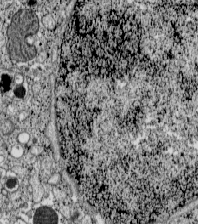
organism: C57BL Mouse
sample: Pancreatic islet